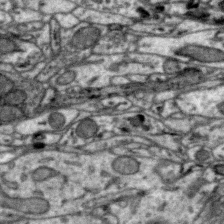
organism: Zebra finch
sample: Brain